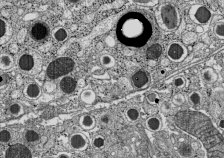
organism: C57BL Mouse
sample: Pancreatic islet